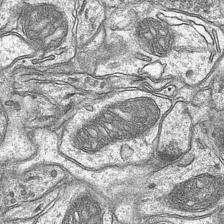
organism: Mouse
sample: CA1 Hippocampus